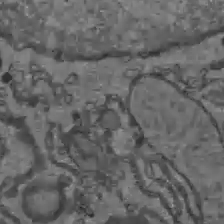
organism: C57BL Mouse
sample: Liver